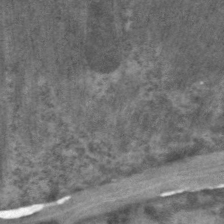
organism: C. elegans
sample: Pharynx